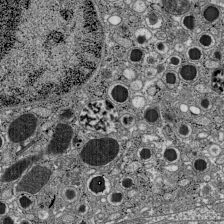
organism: C57BL Mouse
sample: Pancreatic islet